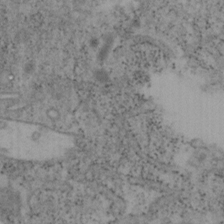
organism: Mouse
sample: OT-I killer T cells with ID8 ovarian cancer cells